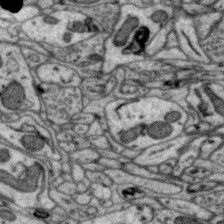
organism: Zebra finch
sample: Brain